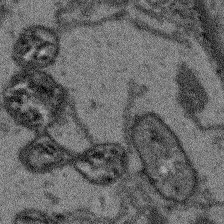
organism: Arabidopsis thaliana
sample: Root tip